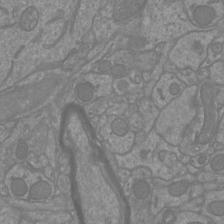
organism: Mouse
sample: Cortical neurons